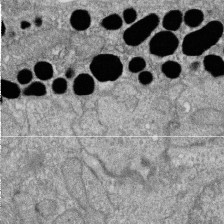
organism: Zebrafish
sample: Cilia; retinal pigment epithelium